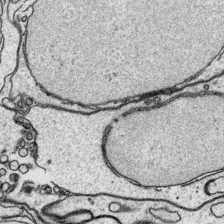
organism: Platynereis dumerilii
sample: Parapodia